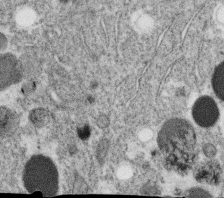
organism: C. elegans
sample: C. elegans oocyte; sperm cells